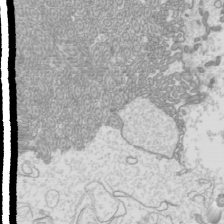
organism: Mouse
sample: Cilia; mouse epididymis